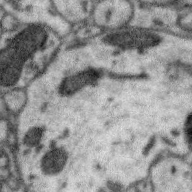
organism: Zebra finch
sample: Brain